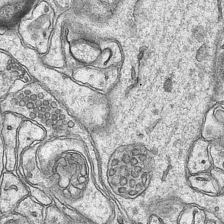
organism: Mouse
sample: CA1 Hippocampus